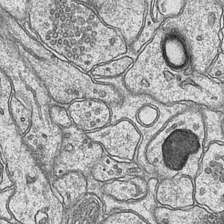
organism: Mouse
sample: CA1 Hippocampus